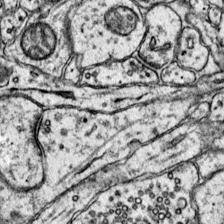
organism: Mouse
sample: Primary visual cortex